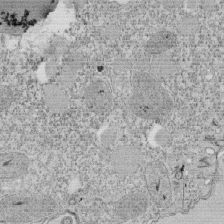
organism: Tetrahymena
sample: Cilia in tetrahymena